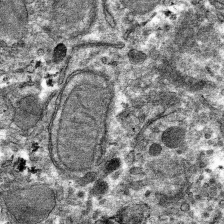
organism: Mouse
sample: Mouse hepatocytes